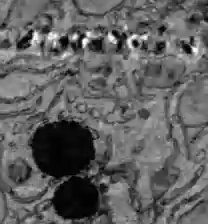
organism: C57BL Mouse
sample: Liver